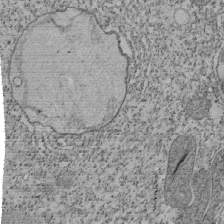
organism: Tetrahymena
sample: Cilia in tetrahymena